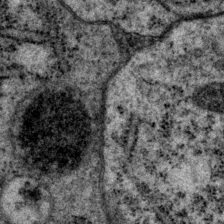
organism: P. pacificus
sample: Pharynx